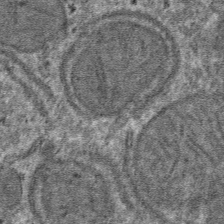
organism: Mouse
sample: Mouse hepatocytes